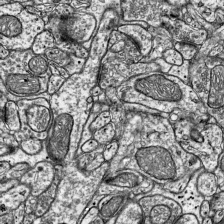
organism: Mouse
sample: Visual Cortex